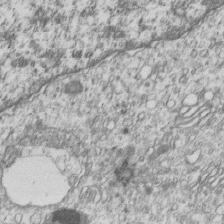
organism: Human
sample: MDA-MB-231 cells